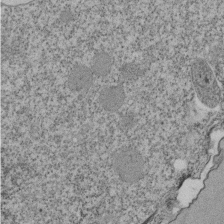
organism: Tetrahymena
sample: Cilia in tetrahymena